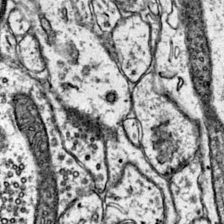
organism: Mouse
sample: Primary visual cortex